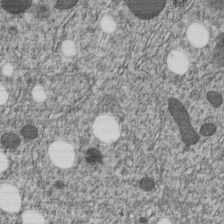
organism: C. elegans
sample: C. elegans embryo early stage